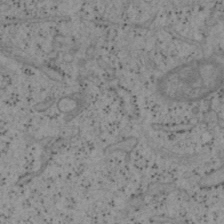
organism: Human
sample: HeLa cells